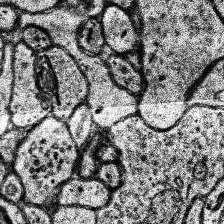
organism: Human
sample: Temporal Lobe